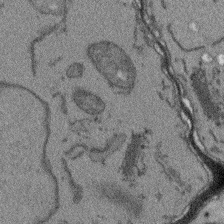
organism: Arabidopsis thaliana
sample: Root tip